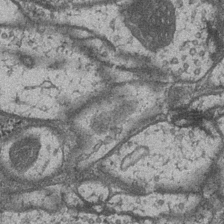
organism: Drosophila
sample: Optic medulla